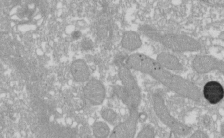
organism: Xenopus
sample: Cilia; centrioles in frog embryo cells